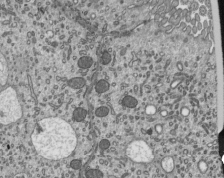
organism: Mouse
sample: Mouse epididymis efferent ductule cilia